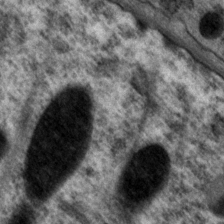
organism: P. pacificus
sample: Pharynx